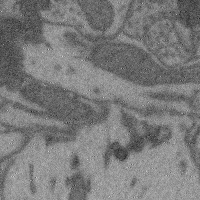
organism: Mouse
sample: Cerebral cortex